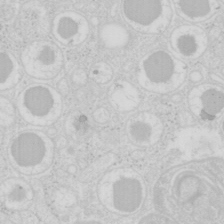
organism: Mouse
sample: Pancreas